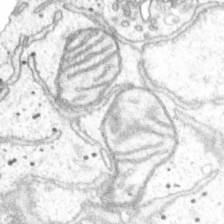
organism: Human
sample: HeLa cells